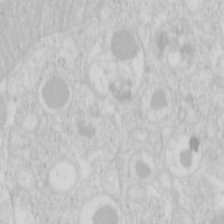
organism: Mouse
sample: Pancreas